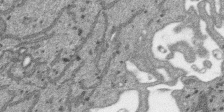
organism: Human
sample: Lung epithelial cells infected with SARS-CoV-2